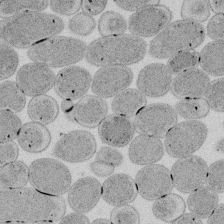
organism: E. coli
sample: Bacterial nucleoid